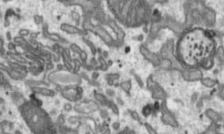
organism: Toxoplasma gondii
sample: Parasites in a vacuole inside a host cell